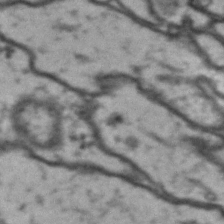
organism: Drosophila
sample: Brain